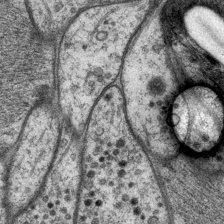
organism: P. pacificus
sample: Pharynx